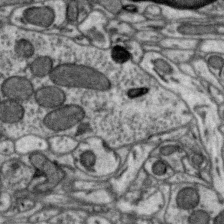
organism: Zebra finch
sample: Brain